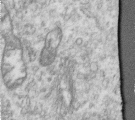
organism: Human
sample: Centriole in RPE cells